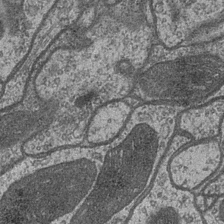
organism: Drosophila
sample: Optic medulla